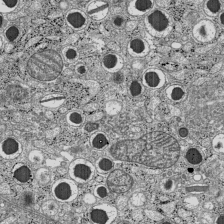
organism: C57BL Mouse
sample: Pancreatic islet